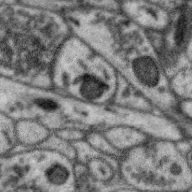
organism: Zebra finch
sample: Brain